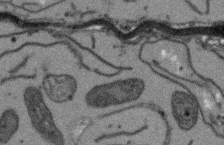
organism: Arabidopsis thaliana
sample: Root tip